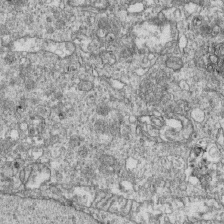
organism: Human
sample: HeLa cell HIV synapse